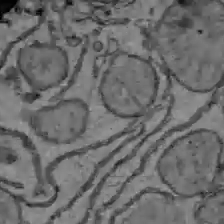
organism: C57BL Mouse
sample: Liver